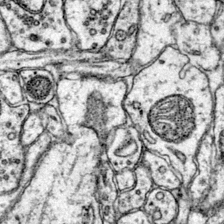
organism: Mouse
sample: Primary visual cortex